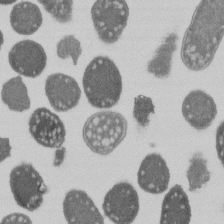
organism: E. coli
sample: Bacterial nucleoid